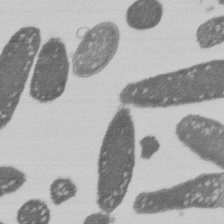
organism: E. coli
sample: Bacterial nucleoid